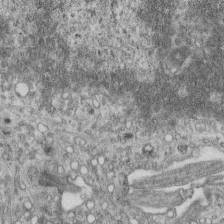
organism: Mouse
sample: Centriole in ependymal cells